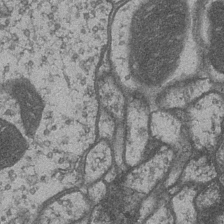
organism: Drosophila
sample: Optic medulla